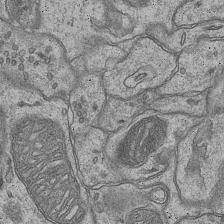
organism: Mouse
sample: CA1 Hippocampus